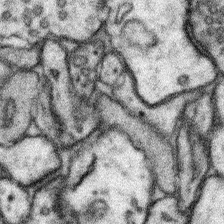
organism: Mouse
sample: Somatosensory cortex neuropil